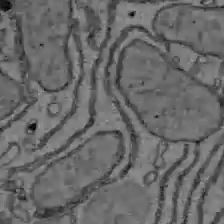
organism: C57BL Mouse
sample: Liver